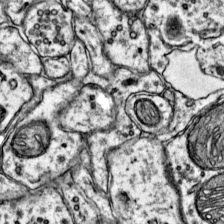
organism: Mouse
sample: Primary visual cortex